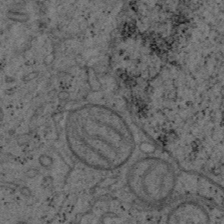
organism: Human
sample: HeLa cells